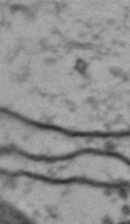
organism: Drosophila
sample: Brain